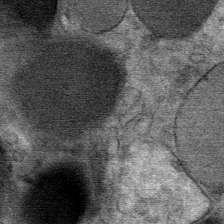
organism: Mouse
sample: Mouse Salivary gland